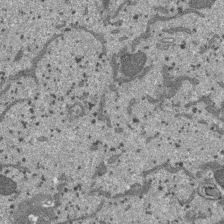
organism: Human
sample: Lung epithelial cells infected with SARS-CoV-2